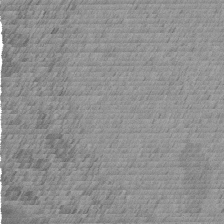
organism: C. elegans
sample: C. elegans embryo early stage